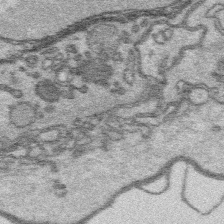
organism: Platynereis dumerilii